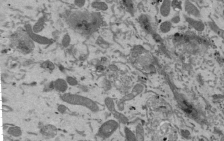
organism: Mouse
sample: ED-1 cell nuclei; centrioles